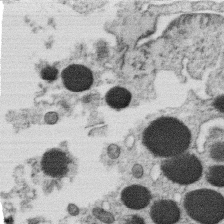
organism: C. elegans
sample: C. elegans oocyte; sperm cells